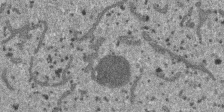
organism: Human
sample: Lung epithelial cells infected with SARS-CoV-2